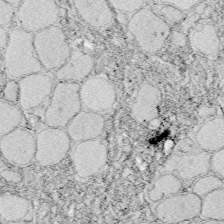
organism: Zebrafish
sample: Whole-Brain